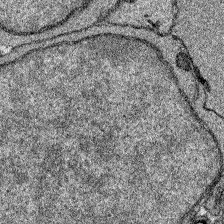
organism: Zebrafish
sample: Larval olfactory bulb